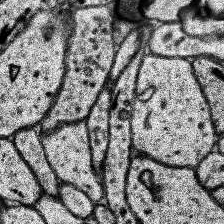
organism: Human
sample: Temporal Lobe